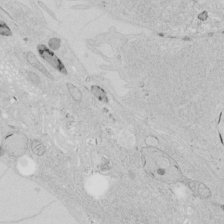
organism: Human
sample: Mitochondria in HCT116 cells